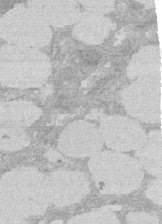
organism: Rat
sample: Salivary granule